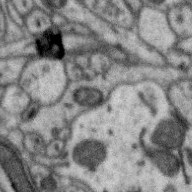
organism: Zebra finch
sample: Brain